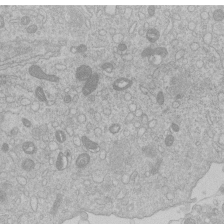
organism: Human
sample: Macrophage cells